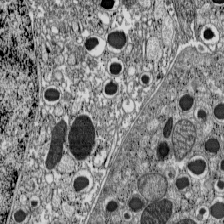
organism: C57BL Mouse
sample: Pancreatic islet